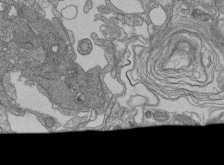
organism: Human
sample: Retinal organoid Rod and Cone cells